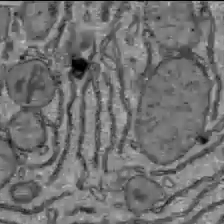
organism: C57BL Mouse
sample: Liver